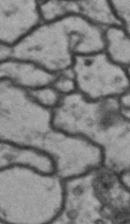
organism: Drosophila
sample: Brain